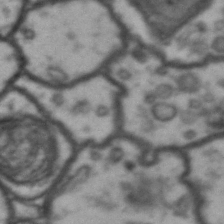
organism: Drosophila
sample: Brain